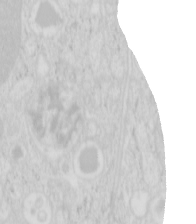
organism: Mouse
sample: Pancreas